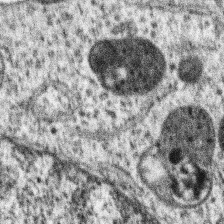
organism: Human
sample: HeLa cells